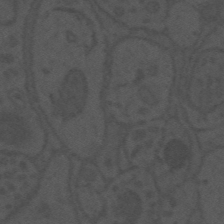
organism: Mouse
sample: Suprachiasmatic nucleus